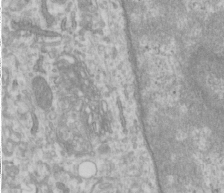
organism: Human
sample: Cilia; basal body in RPE cells